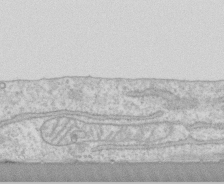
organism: Human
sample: CRL-1474